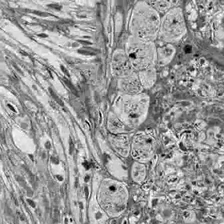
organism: Drosophila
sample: Optic lobe